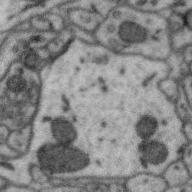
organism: Zebra finch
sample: Brain